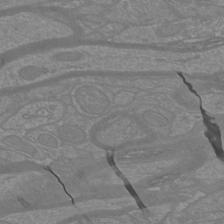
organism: Mouse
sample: Cortical neurons